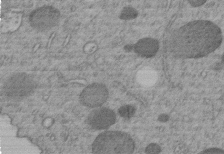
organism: C. elegans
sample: C. elegans embryo early stage